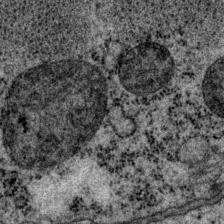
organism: P. pacificus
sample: Pharynx